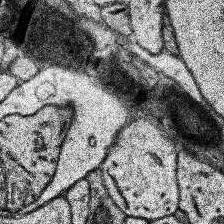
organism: Human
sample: Temporal Lobe